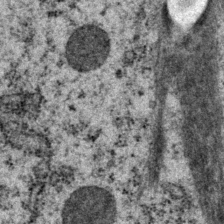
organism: P. pacificus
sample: Pharynx